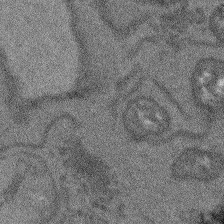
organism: Arabidopsis thaliana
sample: Root tip